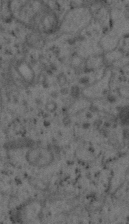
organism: Human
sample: HeLa cells